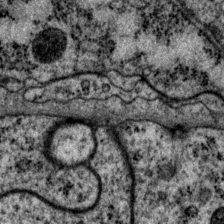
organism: P. pacificus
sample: Pharynx